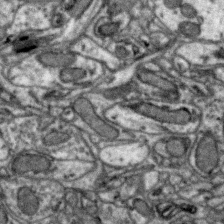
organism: Zebra finch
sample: Brain